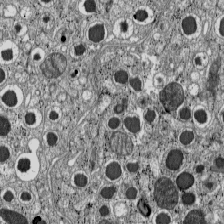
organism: C57BL Mouse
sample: Pancreatic islet